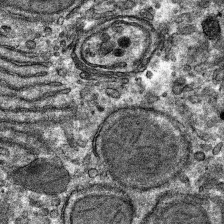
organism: Mouse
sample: Mouse hepatocytes